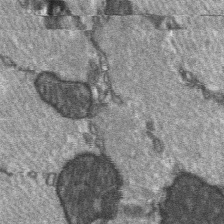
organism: C57BL Mouse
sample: Soleus